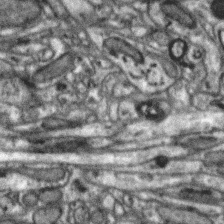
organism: Zebra finch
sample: Brain